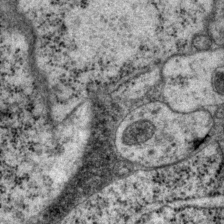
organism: P. pacificus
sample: Pharynx